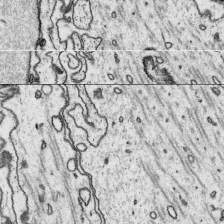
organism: Platynereis dumerilii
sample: Parapodia